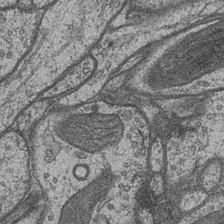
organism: Drosophila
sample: Optic medulla